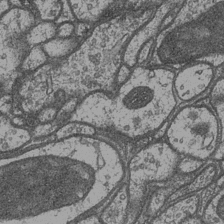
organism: Drosophila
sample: Optic medulla